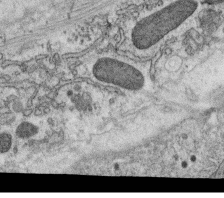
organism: C. elegans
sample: C. elegans oocyte; sperm cells